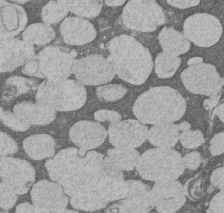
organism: Rat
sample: Salivary granule